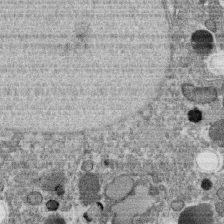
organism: C. elegans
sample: C. elegans oocyte; sperm cells